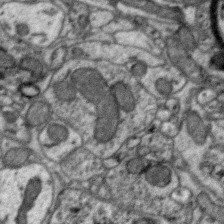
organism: Zebra finch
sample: Brain